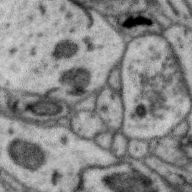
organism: Zebra finch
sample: Brain